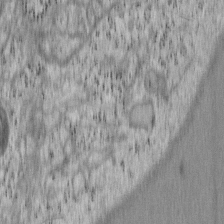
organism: Human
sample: HeLa cells